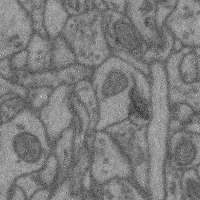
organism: Mouse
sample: Cerebral cortex